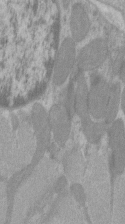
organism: C57BL Mouse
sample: Tibialis anterior muscle cell